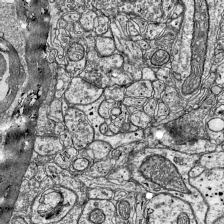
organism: Mouse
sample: Visual Cortex